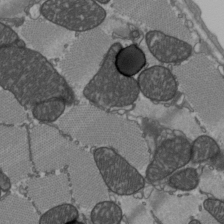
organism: C57BL Mouse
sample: Heart